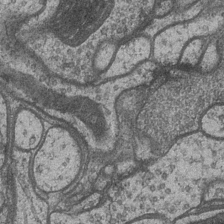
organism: Drosophila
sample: Optic medulla